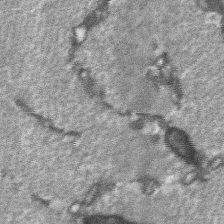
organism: C57BL Mouse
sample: Soleus